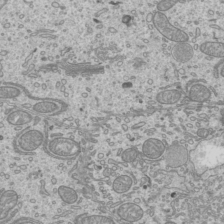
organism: Mouse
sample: Cilia; mouse epididymis